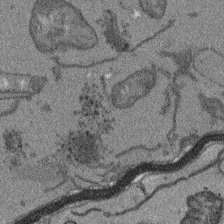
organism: Arabidopsis thaliana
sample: Root tip